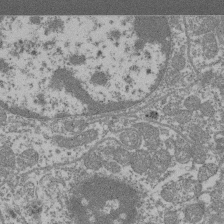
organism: Mouse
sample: Glomerulus